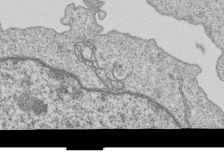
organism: Human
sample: MDA-MB-231 cells